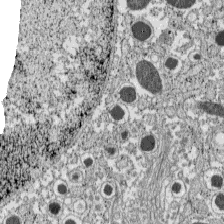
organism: C57BL Mouse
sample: Pancreatic islet